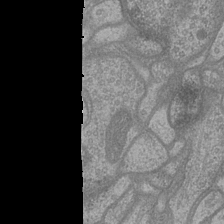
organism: Drosophila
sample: Optic medulla